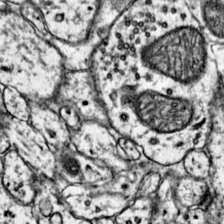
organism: Mouse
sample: Primary visual cortex